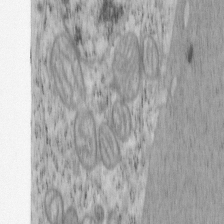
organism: Human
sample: HeLa cells